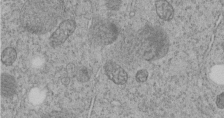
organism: C. elegans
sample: C. elegans embryo early stage